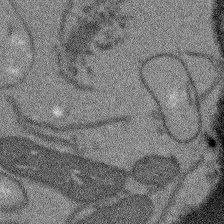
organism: Arabidopsis thaliana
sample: Root tip